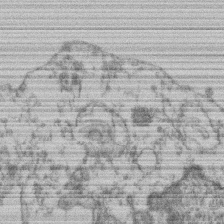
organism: Mouse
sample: T cell stromal cell synapse